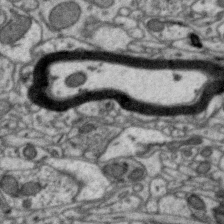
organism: Zebra finch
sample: Brain